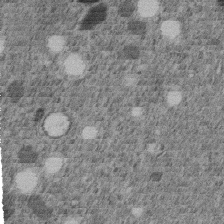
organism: C. elegans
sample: C. elegans embryo early stage